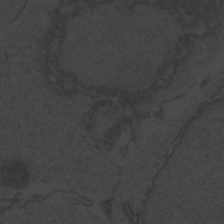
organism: Zebrafish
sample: Macrophage infected with Toxoplasma gondii